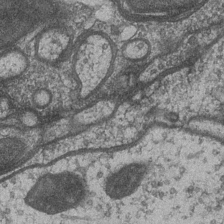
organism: Drosophila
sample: Optic medulla